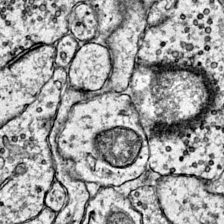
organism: Mouse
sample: Primary visual cortex